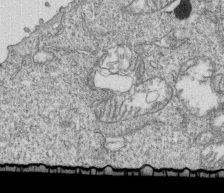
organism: Human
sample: HeLa cell HIV synapse